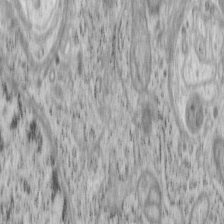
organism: Human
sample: HeLa cells